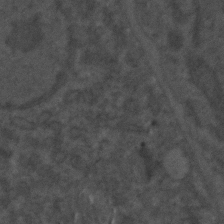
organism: C. elegans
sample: C. elegans embryo